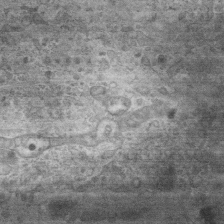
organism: Mouse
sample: Centriole in ependymal cells